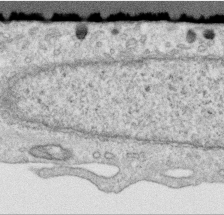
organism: Human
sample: Centriole in RPE cells